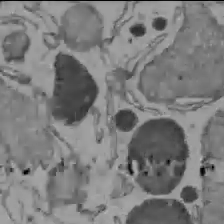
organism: C57BL Mouse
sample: Liver